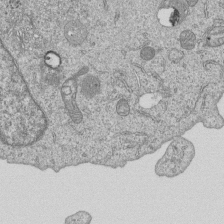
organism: Human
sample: MDA-MB-231 cells